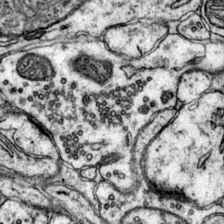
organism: Mouse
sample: Primary visual cortex